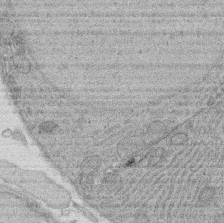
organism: Rat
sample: Salivary granule